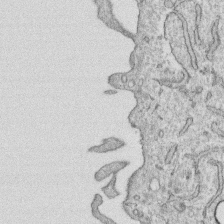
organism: Human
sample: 1205lu cells